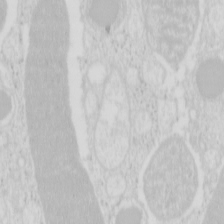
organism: Mouse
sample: Pancreas